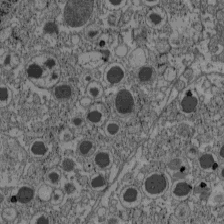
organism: C57BL Mouse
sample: Pancreatic islet